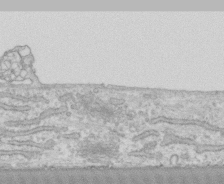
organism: Human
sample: CRL-1474